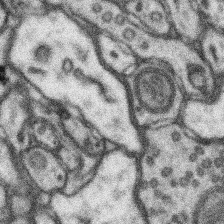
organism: Mouse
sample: Somatosensory cortex neuropil